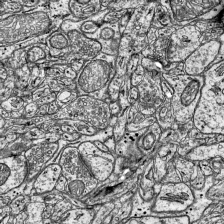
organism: Mouse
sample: Visual Cortex